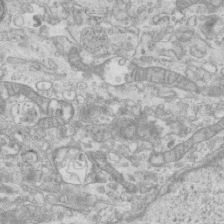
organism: Mouse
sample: Centriole in ependymal cells